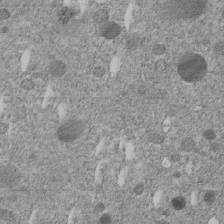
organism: C. elegans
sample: C. elegans embryo early stage